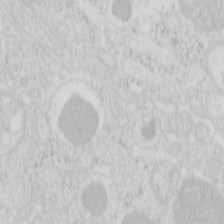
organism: Mouse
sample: Pancreas